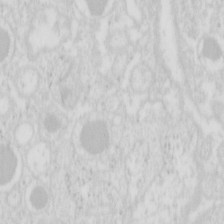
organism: Mouse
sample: Pancreas